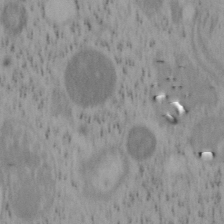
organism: Mouse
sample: OT-I killer T cells with ID8 ovarian cancer cells